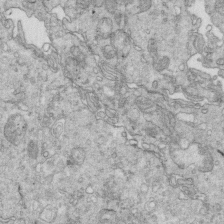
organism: Mouse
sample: Multiciliated cells